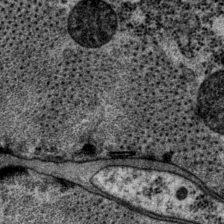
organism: P. pacificus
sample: Pharynx